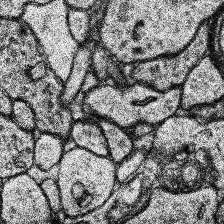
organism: Human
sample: Temporal Lobe